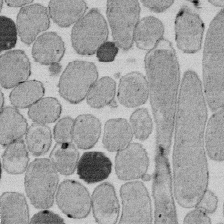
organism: E. coli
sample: Bacterial nucleoid